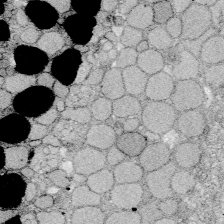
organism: Zebrafish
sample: Whole-Brain